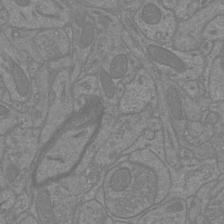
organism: Mouse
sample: Cortical neurons